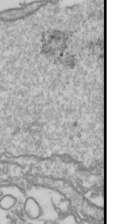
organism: Drosophila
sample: Cell division; meiosis; drosophila spermatocytes